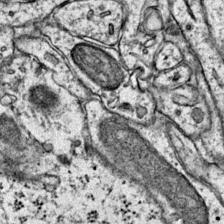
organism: Mouse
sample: Primary visual cortex